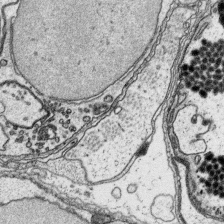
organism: Platynereis dumerilii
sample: Parapodia